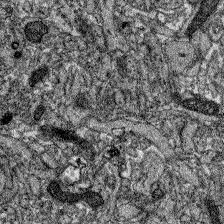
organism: Zebrafish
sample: Larval olfactory bulb